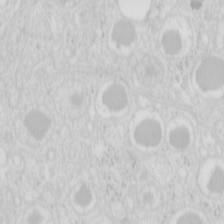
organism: Mouse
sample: Pancreas